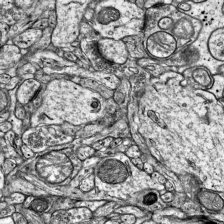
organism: Mouse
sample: Visual Cortex